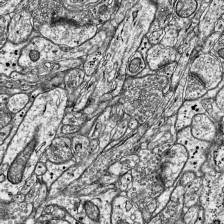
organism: Mouse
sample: Visual Cortex